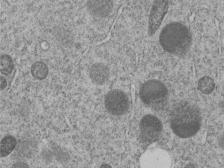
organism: C. elegans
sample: C. elegans embryo early stage